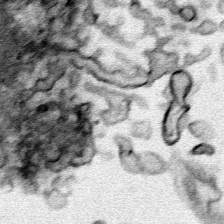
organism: Human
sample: Mitochondria in HCT116 cells